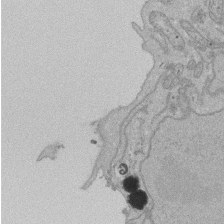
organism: Human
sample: Activated Jurkat CD4+ T cells